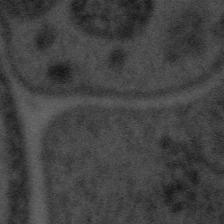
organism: Tuwongella immobilis